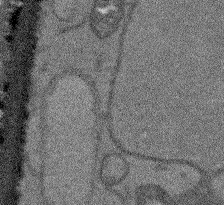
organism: Arabidopsis thaliana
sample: Root tip